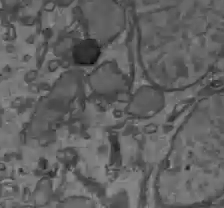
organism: C57BL Mouse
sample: Liver